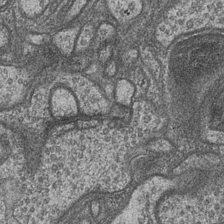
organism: Drosophila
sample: Optic medulla